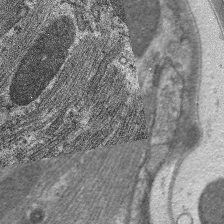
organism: C. elegans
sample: Pharynx